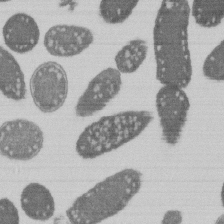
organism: E. coli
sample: Bacterial nucleoid